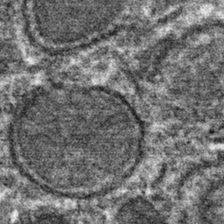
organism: Mouse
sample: Mouse hepatocytes